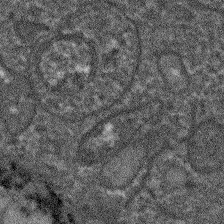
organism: Arabidopsis thaliana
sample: Root tip